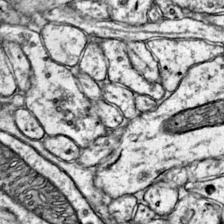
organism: Mouse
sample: Primary visual cortex